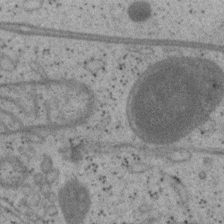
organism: Human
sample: HeLa cells